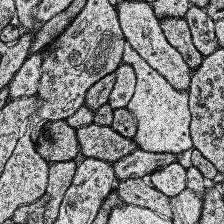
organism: Human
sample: Temporal Lobe